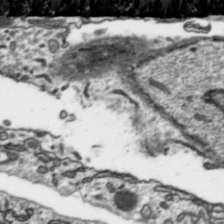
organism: Toxoplasma gondii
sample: Parasites in a vacuole inside a host cell